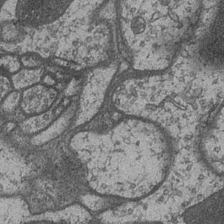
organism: Drosophila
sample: Optic medulla